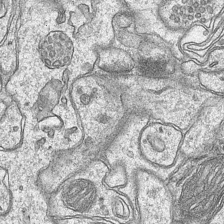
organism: Mouse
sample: CA1 Hippocampus